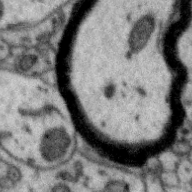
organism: Zebra finch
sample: Brain